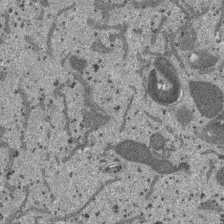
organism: Human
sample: Lung epithelial cells infected with SARS-CoV-2